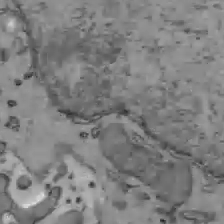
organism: C57BL Mouse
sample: Liver